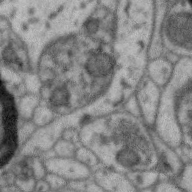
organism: Zebra finch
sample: Brain